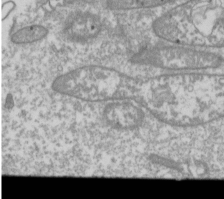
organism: Drosophila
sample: Cell division; meiosis; drosophila spermatocytes